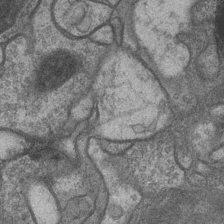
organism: Drosophila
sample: Optic medulla